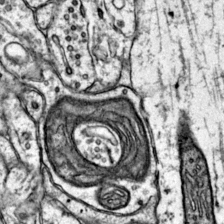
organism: Mouse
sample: Primary visual cortex